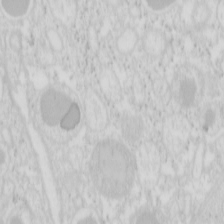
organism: Mouse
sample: Pancreas